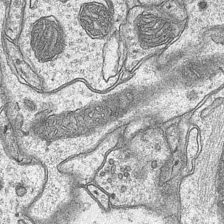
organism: Mouse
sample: CA1 Hippocampus